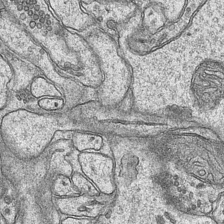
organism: Mouse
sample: CA1 Hippocampus